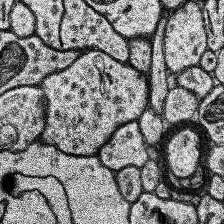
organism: Human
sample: Temporal Lobe